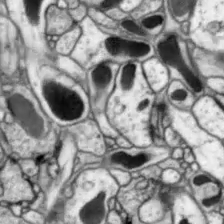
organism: Drosophila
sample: Optic lobe